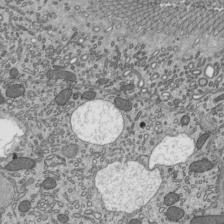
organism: Mouse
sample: Mouse epididymis efferent ductule cilia